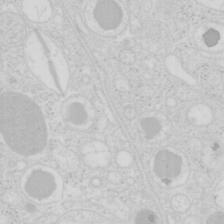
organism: Mouse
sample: Pancreas